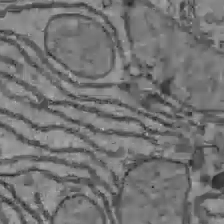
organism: C57BL Mouse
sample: Liver